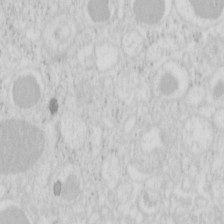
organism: Mouse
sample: Pancreas